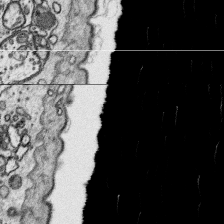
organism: Platynereis dumerilii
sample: Parapodia